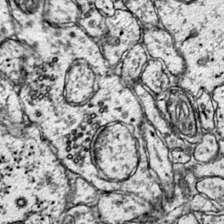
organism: Mouse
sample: Primary visual cortex